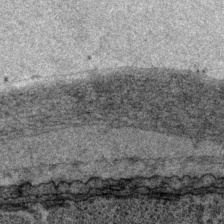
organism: P. pacificus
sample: Pharynx